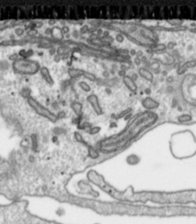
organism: Toxoplasma gondii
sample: Parasites in a vacuole inside a host cell